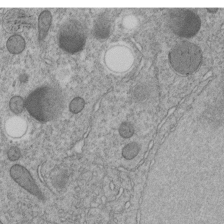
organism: C. elegans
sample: C. elegans embryo early stage